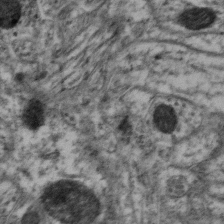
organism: Mouse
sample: Neocortex